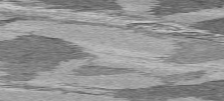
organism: C57BL Mouse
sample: Heart